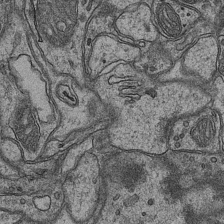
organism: Mouse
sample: CA1 Hippocampus